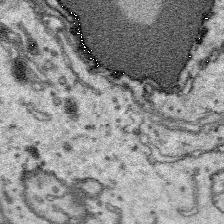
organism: Platynereis dumerilii